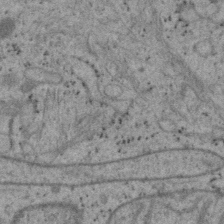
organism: Human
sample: HeLa cells